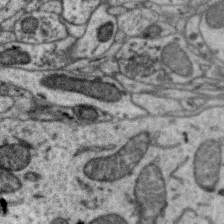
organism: Zebra finch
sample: Brain